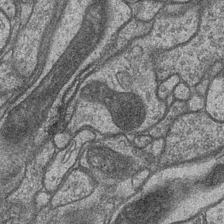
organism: Drosophila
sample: Optic medulla